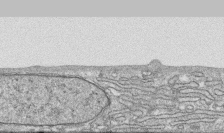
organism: Human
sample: CRL-1474